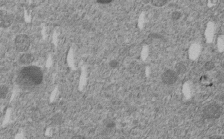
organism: C. elegans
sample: C. elegans embryo early stage